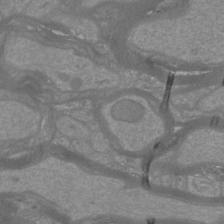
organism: Mouse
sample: Cortical neurons